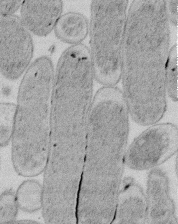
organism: E. coli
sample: Bacterial nucleoid